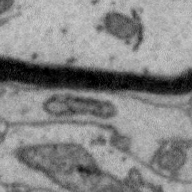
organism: Zebra finch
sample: Brain